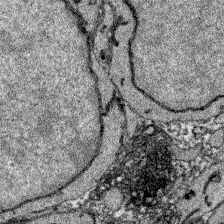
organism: Zebrafish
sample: Larval olfactory bulb